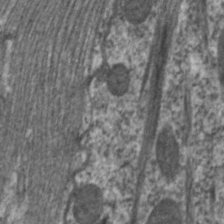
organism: C. elegans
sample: Pharynx